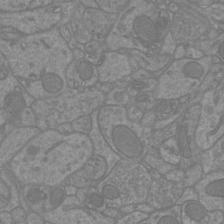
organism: Mouse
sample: Cortical neurons